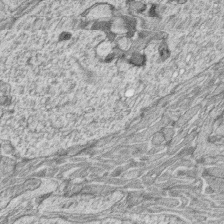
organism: Zebrafish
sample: synaptic ribbons in rod cells and cone cells